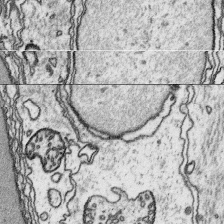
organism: Platynereis dumerilii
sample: Parapodia